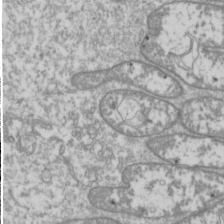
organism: Drosophila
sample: Cell division; meiosis; drosophila spermatocytes